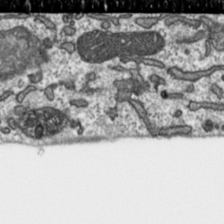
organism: Toxoplasma gondii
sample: Parasites in a vacuole inside a host cell